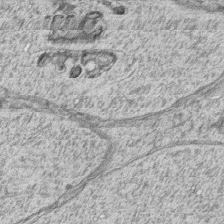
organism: Zebrafish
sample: synaptic ribbons in rod cells and cone cells